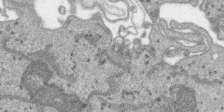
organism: Human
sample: Lung epithelial cells infected with SARS-CoV-2